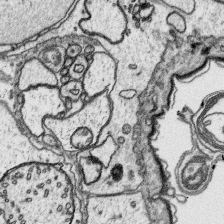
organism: Platynereis dumerilii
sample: Parapodia